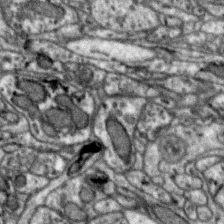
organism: Zebra finch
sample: Brain